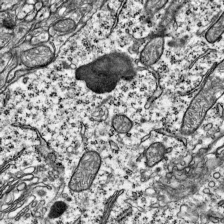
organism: Mouse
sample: Visual Cortex